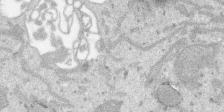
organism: Human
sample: Lung epithelial cells infected with SARS-CoV-2